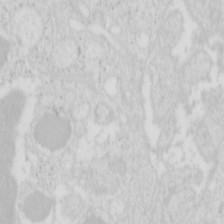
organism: Mouse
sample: Pancreas